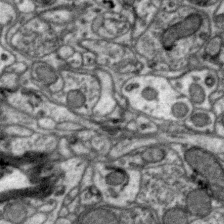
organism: Zebra finch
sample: Brain